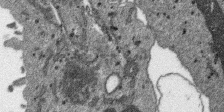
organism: Human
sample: Lung epithelial cells infected with SARS-CoV-2